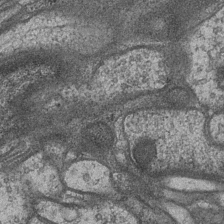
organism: Drosophila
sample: Optic medulla